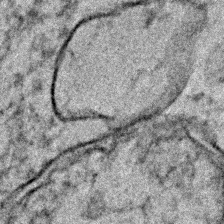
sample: Trachea